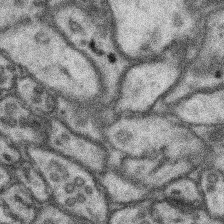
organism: Mouse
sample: Somatosensory cortex neuropil